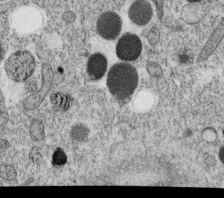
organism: C. elegans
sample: C. elegans oocyte; sperm cells